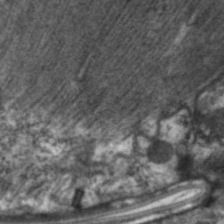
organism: C. elegans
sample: Pharynx